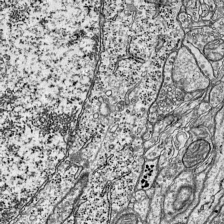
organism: Mouse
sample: Visual Cortex